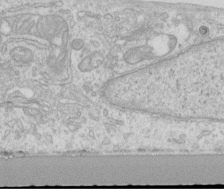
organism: Human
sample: Centriole in RPE cells